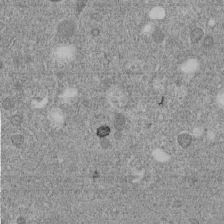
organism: C. elegans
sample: C. elegans embryo early stage